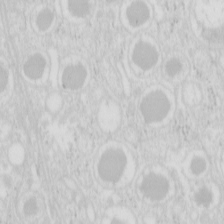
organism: Mouse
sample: Pancreas